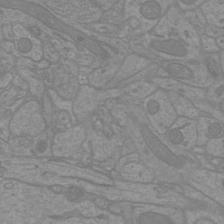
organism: Mouse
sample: Cortical neurons